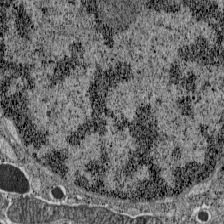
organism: C57BL Mouse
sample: Pancreatic islet